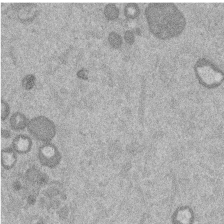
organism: Mouse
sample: Dividing mouse embryo 1 cell stage